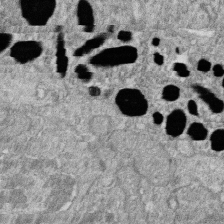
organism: Zebrafish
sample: Cilia; retinal pigment epithelium